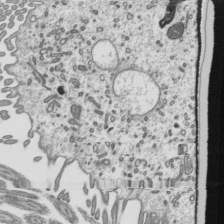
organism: Mouse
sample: Mouse epididymis efferent ductule cilia